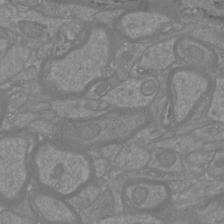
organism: Mouse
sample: Cortical neurons